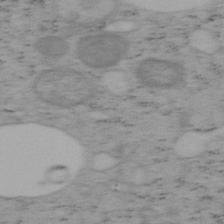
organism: Mouse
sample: OT-I killer T cells with ID8 ovarian cancer cells